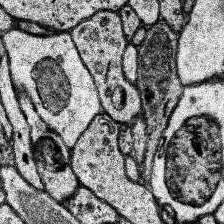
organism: Human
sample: Temporal Lobe